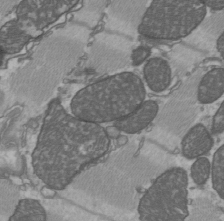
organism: C57BL Mouse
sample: Heart